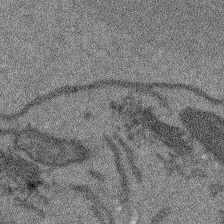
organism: Arabidopsis thaliana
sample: Root tip